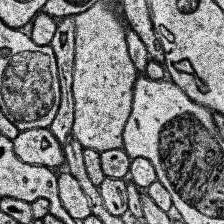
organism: Human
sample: Temporal Lobe